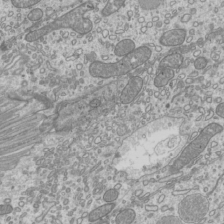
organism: Mouse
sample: Cilia; mouse epididymis